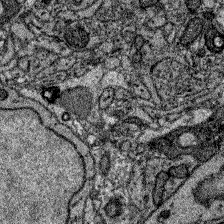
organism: Zebrafish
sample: Larval olfactory bulb